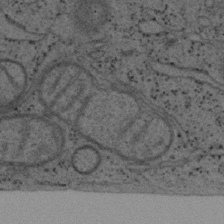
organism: Human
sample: HeLa cells